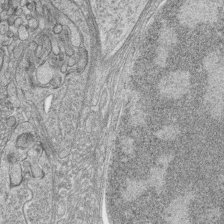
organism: Zebrafish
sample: synaptic ribbons in rod cells and cone cells